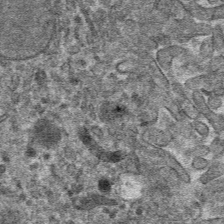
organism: Mouse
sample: Mouse hepatocytes